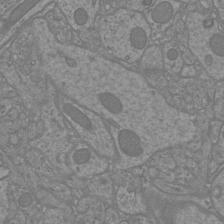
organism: Mouse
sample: Cortical neurons